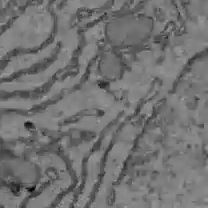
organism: C57BL Mouse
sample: Liver